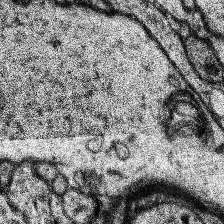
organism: Human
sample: Temporal Lobe